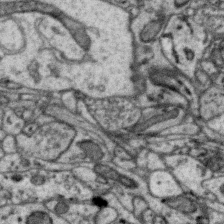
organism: Zebra finch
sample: Brain